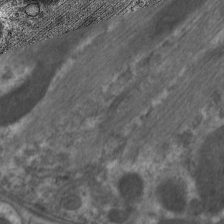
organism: C. elegans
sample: Pharynx